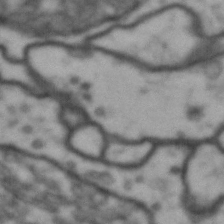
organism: Drosophila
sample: Brain